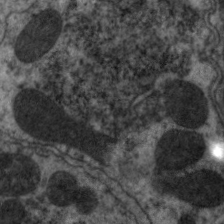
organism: C. elegans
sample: Pharynx